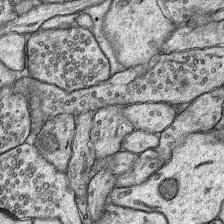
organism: Rat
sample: Hippocampus